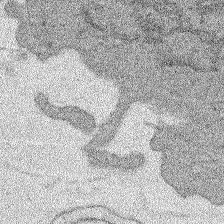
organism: Human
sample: HeLa cells